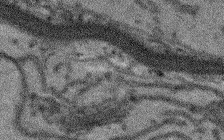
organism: Arabidopsis thaliana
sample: Root tip